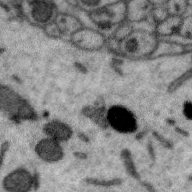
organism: Zebra finch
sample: Brain